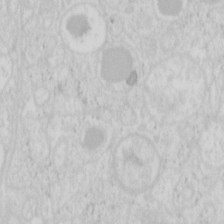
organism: Mouse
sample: Pancreas